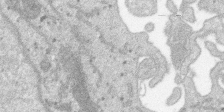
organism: Human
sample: Lung epithelial cells infected with SARS-CoV-2